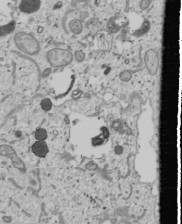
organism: Human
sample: Mitochondria in U2OS cells